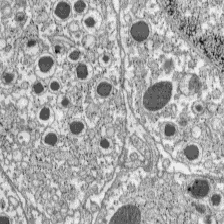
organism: C57BL Mouse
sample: Pancreatic islet